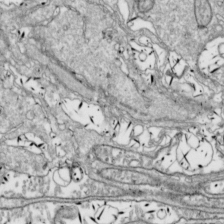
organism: Drosophila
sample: Cell division; meiosis; drosophila spermatocytes